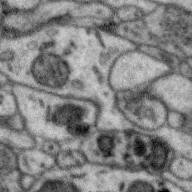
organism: Zebra finch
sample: Brain